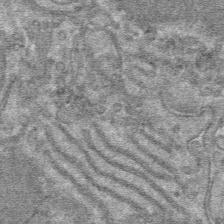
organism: Mouse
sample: Mouse hepatocytes